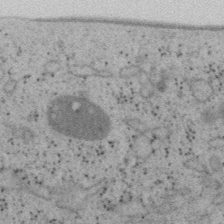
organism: Human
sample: HeLa cells